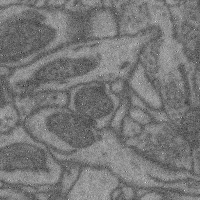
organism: Mouse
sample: Cerebral cortex